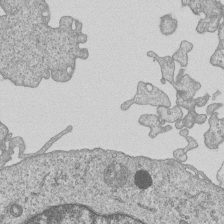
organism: Human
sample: MDA-MB-231 cells